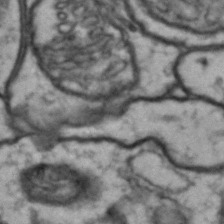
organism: Drosophila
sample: Brain